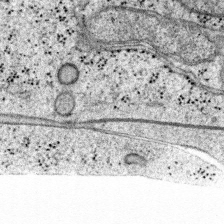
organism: Human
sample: HeLa cells